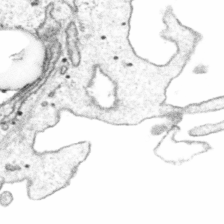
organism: Human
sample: HeLa cells